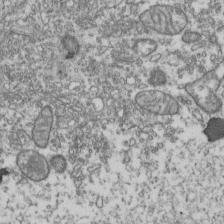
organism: Human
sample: Activated Jurkat CD4+ T cells